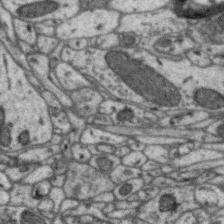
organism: Zebra finch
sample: Brain